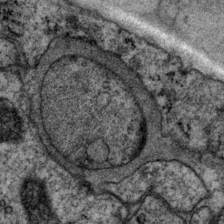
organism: P. pacificus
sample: Pharynx